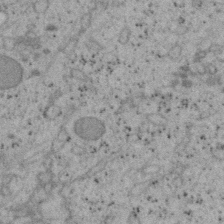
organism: Human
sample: HeLa cells